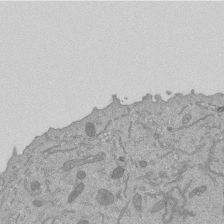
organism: Mouse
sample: ED-1 cell nuclei; centrioles